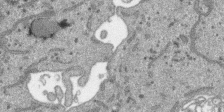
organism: Human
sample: Lung epithelial cells infected with SARS-CoV-2